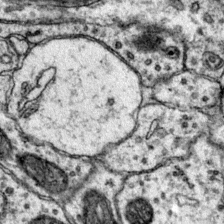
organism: Mouse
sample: Primary visual cortex